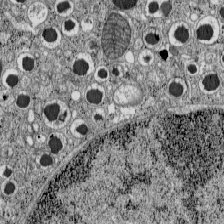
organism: C57BL Mouse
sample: Pancreatic islet